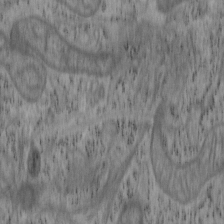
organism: Human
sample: HeLa cells